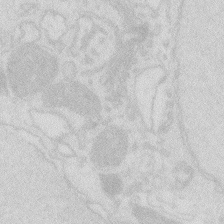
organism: Zebrafish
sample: Macrophage